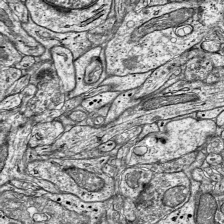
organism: Mouse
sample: Visual Cortex